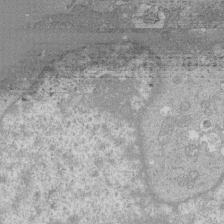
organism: Human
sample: Macrophage cells